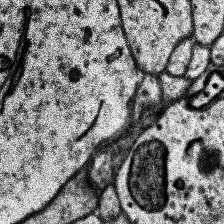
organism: Human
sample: Temporal Lobe